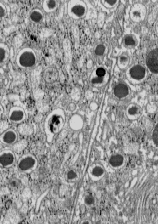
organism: C57BL Mouse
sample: Pancreatic islet